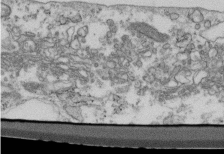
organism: Mouse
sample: Cilia; retinal pigment epithelium